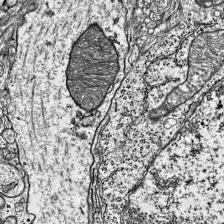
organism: Mouse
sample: Visual Cortex